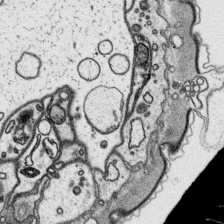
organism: Platynereis dumerilii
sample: Parapodia